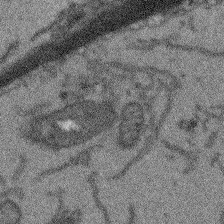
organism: Arabidopsis thaliana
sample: Root tip